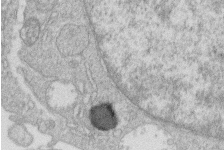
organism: Human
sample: Macrophage cells